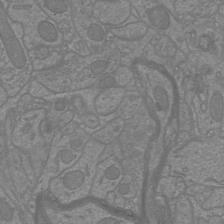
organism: Mouse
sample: Cortical neurons